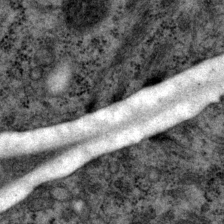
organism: P. pacificus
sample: Pharynx